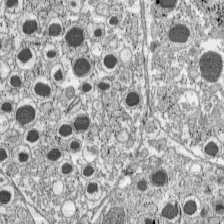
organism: C57BL Mouse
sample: Pancreatic islet